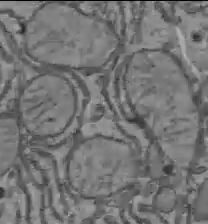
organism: C57BL Mouse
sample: Liver